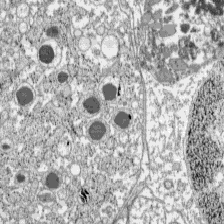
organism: C57BL Mouse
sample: Pancreatic islet